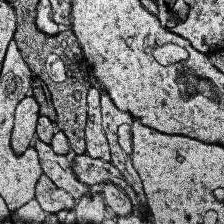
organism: Human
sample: Temporal Lobe